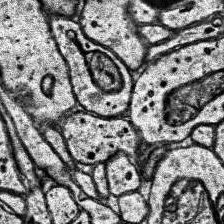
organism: Human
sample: Temporal Lobe